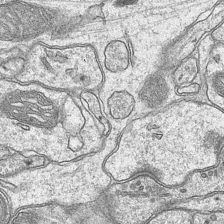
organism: Mouse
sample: CA1 Hippocampus